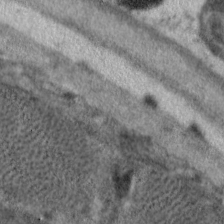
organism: C. elegans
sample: Pharynx